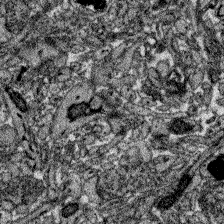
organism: Zebrafish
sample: Larval olfactory bulb